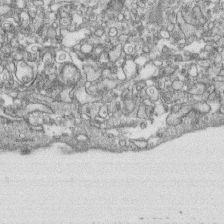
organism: Human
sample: CRL-1474